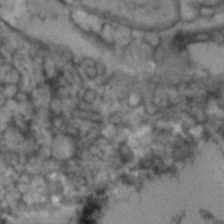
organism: Human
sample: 1205lu cells